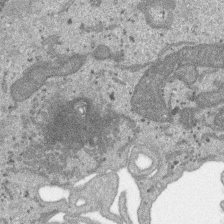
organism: Human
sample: Lung epithelial cells infected with SARS-CoV-2